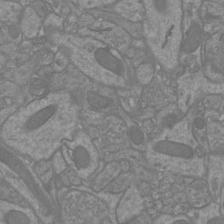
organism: Mouse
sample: Cortical neurons